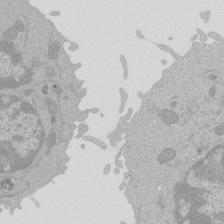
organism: Mouse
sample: Activated Pmel transgenic CD8+ T Cells